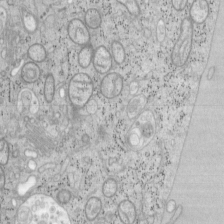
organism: Mouse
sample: OT-I killer T cells with ID8 ovarian cancer cells